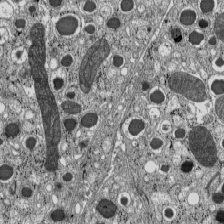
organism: C57BL Mouse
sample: Pancreatic islet